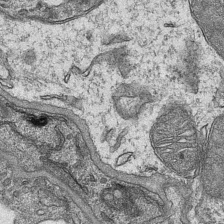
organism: Mouse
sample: CA1 Hippocampus